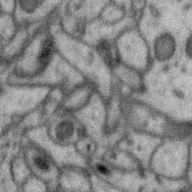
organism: Zebra finch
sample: Brain